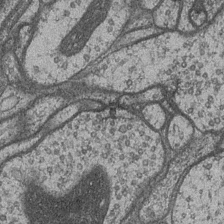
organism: Drosophila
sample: Optic medulla